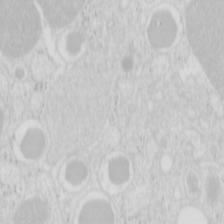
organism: Mouse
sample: Pancreas